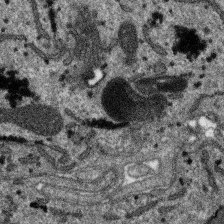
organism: Human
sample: Lung epithelial cells infected with SARS-CoV-2